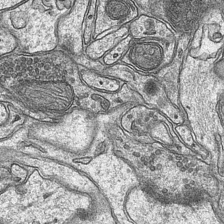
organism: Mouse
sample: CA1 Hippocampus